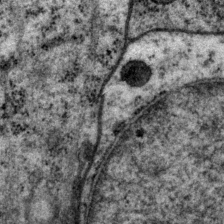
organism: P. pacificus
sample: Pharynx